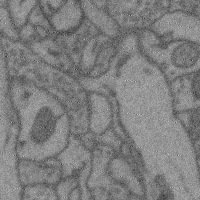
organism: Mouse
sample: Cerebral cortex